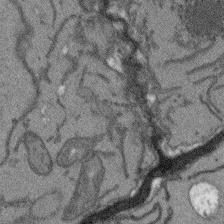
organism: Arabidopsis thaliana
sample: Root tip